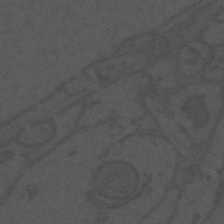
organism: Mouse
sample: Suprachiasmatic nucleus